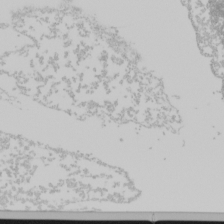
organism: Mouse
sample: Cancer cell death in ED-1 cells